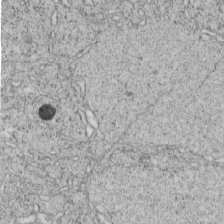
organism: C. elegans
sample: C. elegans embryo early stage